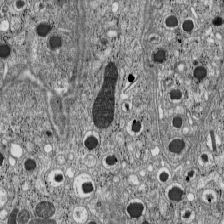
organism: C57BL Mouse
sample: Pancreatic islet